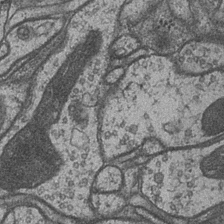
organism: Drosophila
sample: Optic medulla